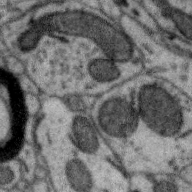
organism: Zebra finch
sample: Brain